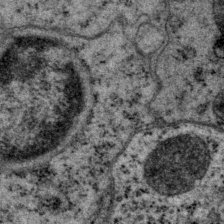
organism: P. pacificus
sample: Pharynx